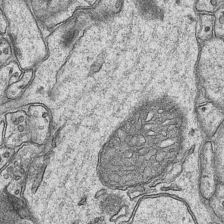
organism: Mouse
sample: CA1 Hippocampus